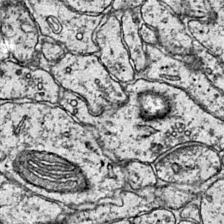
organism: Mouse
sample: Primary visual cortex